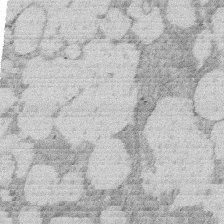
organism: Rat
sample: Salivary granule